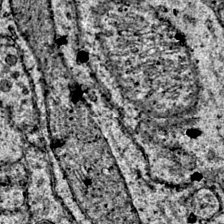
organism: Mouse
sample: Primary visual cortex